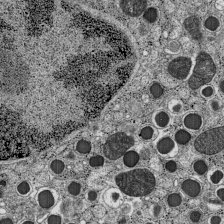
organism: C57BL Mouse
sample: Pancreatic islet